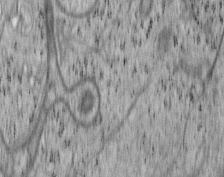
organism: Human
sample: HeLa cells